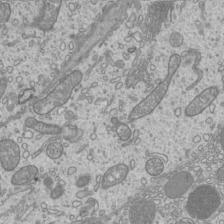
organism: Mouse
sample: Cilia; mouse epididymis